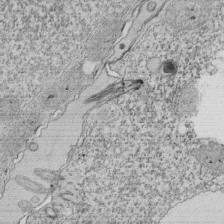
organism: Tetrahymena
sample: Cilia in tetrahymena